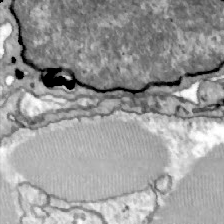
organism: Zebrafish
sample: Actinotrichia fibers